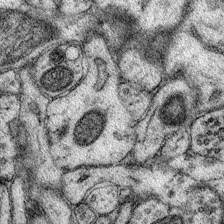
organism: Mouse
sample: Primary visual cortex